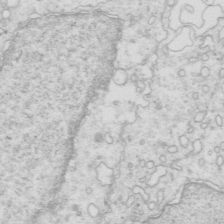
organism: Mouse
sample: Multiciliated cells